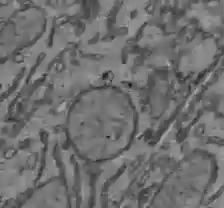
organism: C57BL Mouse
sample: Liver